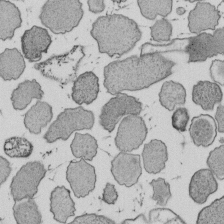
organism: E. coli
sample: Bacterial nucleoid